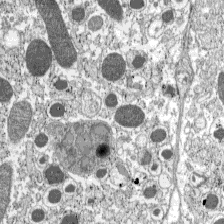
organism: C57BL Mouse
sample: Pancreatic islet